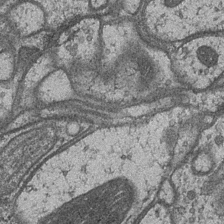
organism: Drosophila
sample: Optic medulla